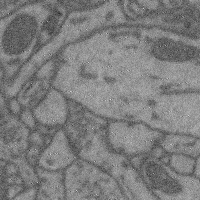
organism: Mouse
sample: Cerebral cortex